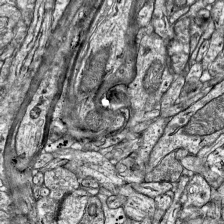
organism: Mouse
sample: Visual Cortex